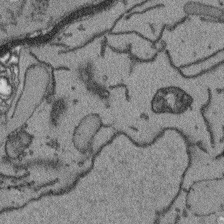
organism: Arabidopsis thaliana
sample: Root tip